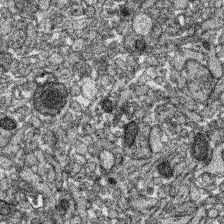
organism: Zebrafish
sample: Larval olfactory bulb